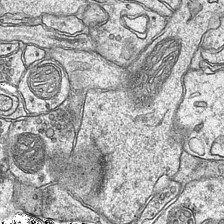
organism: Mouse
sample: CA1 Hippocampus